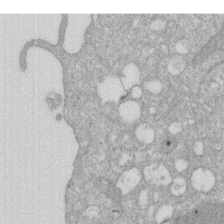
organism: Human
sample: HIV infected U937 cells